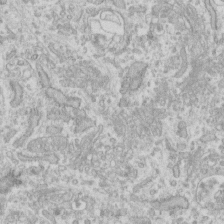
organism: Human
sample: Fibroblast cells